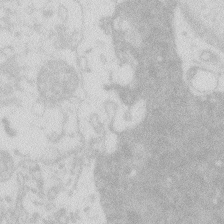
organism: Zebrafish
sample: Macrophage